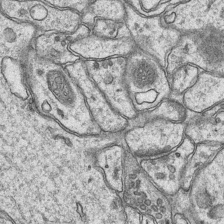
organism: Mouse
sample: CA1 Hippocampus